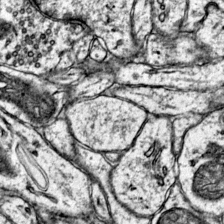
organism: Mouse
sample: Primary visual cortex